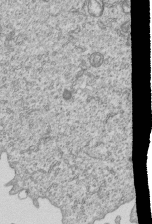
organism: Human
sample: MDA-MB-231 cells